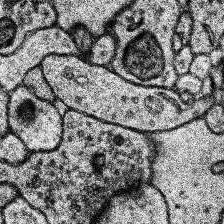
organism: Human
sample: Temporal Lobe